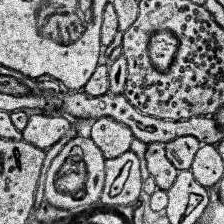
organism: Human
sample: Temporal Lobe